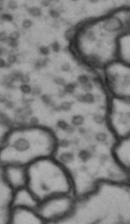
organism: Drosophila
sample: Brain